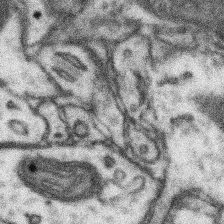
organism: Mouse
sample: Somatosensory cortex neuropil